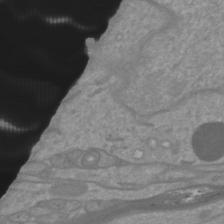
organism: Mouse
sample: Cortical neurons